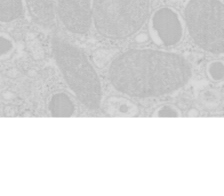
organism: Mouse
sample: Pancreas